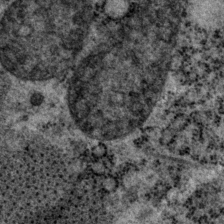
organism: P. pacificus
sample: Pharynx